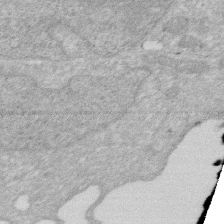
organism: Human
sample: HIV infected U937 cells